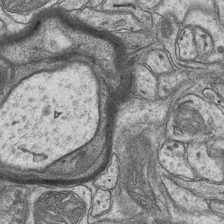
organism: Mouse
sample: CA1 Hippocampus